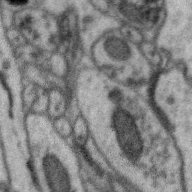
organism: Zebra finch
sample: Brain